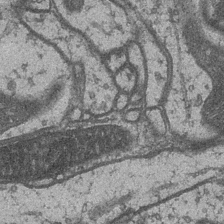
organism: Drosophila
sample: Optic medulla